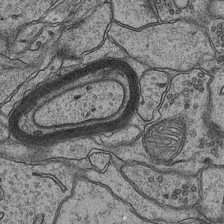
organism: Mouse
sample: CA1 Hippocampus